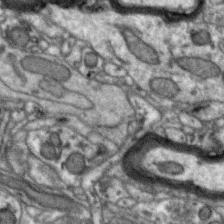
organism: Zebra finch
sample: Brain